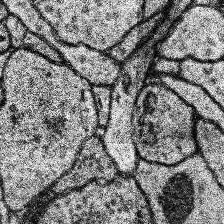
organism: Human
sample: Temporal Lobe